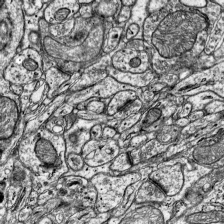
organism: Mouse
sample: Visual Cortex